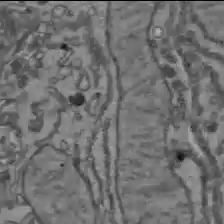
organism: C57BL Mouse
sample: Liver